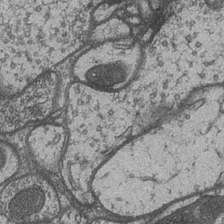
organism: Drosophila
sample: Optic medulla